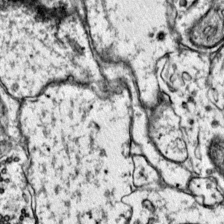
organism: Mouse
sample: Primary visual cortex